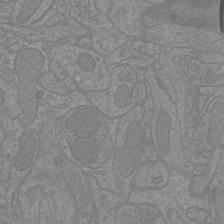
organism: Mouse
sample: Cortical neurons